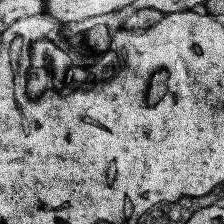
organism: Human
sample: Temporal Lobe